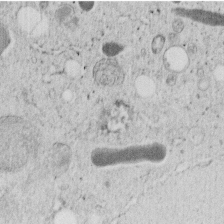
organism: C. elegans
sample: C. elegans embryo early stage